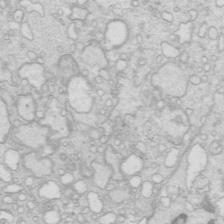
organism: Mouse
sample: Multiciliated cells